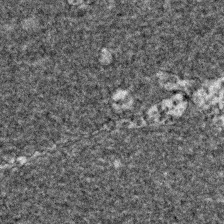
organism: Zebrafish